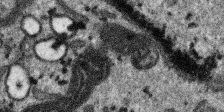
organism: Human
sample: Lung epithelial cells infected with SARS-CoV-2